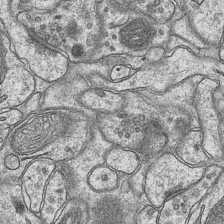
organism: Mouse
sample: CA1 Hippocampus